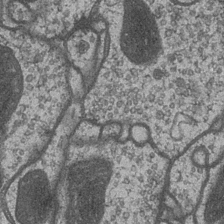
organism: Drosophila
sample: Optic medulla